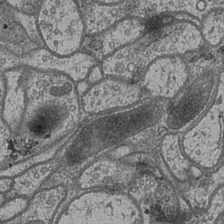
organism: Drosophila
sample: Optic medulla